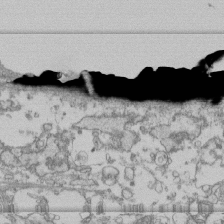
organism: Human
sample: Fibroblast cells